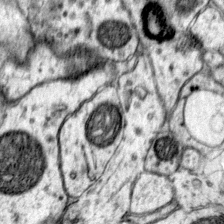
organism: Mouse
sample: Primary visual cortex